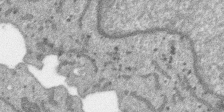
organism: Human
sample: Lung epithelial cells infected with SARS-CoV-2